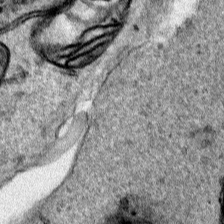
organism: Human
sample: Mitochondria in HCT116 cells